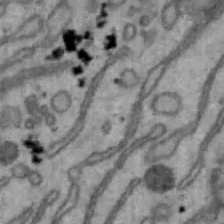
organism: Mouse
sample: Liver